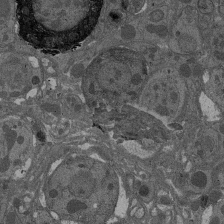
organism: Drosophila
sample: Antenna